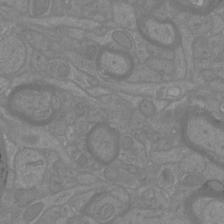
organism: Mouse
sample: Cortical neurons